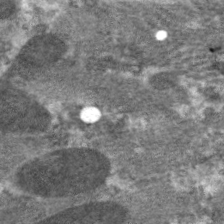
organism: C. elegans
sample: Pharynx